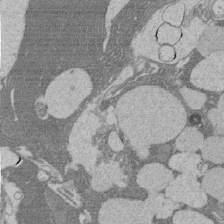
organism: Rat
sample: Salivary granule